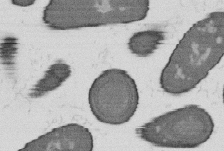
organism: B. subtilis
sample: Bacterial spore